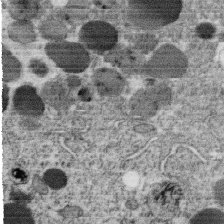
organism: C. elegans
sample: C. elegans oocyte; sperm cells